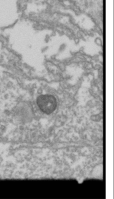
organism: Drosophila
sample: Cell division; meiosis; drosophila spermatocytes